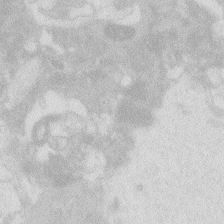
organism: Zebrafish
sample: Macrophage